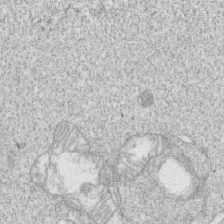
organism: Human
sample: HeLa cell HIV synapse